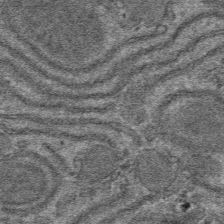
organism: Mouse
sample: Mouse hepatocytes